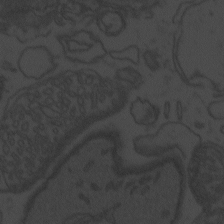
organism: Zebrafish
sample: Macrophage infected with Toxoplasma gondii